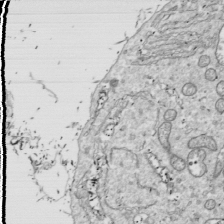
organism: Drosophila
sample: Cell division; meiosis; drosophila spermatocytes